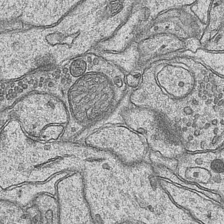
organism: Mouse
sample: CA1 Hippocampus